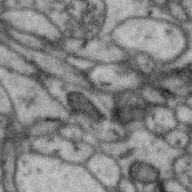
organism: Zebra finch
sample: Brain